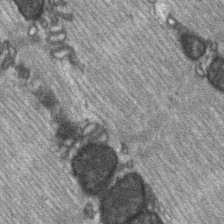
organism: C57BL Mouse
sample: Soleus